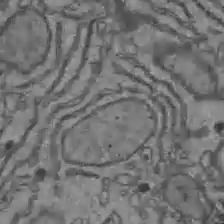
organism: C57BL Mouse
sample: Liver